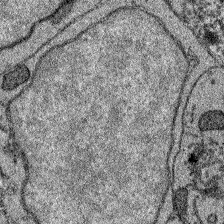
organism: Zebrafish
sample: Larval olfactory bulb